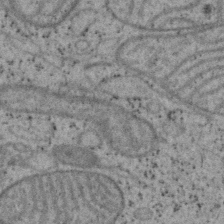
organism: Human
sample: HeLa cells